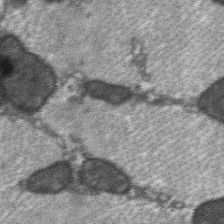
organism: C57BL Mouse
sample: Soleus